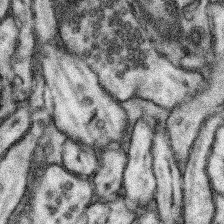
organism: Mouse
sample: Somatosensory cortex neuropil